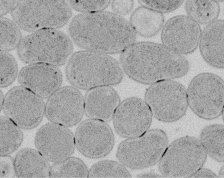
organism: E. coli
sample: Bacterial nucleoid